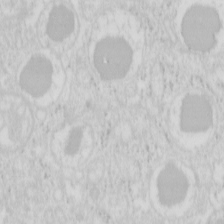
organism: Mouse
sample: Pancreas